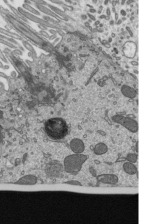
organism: Mouse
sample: Mouse epididymis efferent ductule cilia